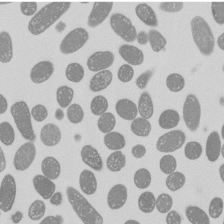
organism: E. coli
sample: Bacterial nucleoid